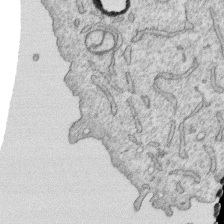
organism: Human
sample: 1205lu cells